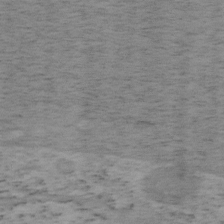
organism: Mouse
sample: OT-I killer T cells with ID8 ovarian cancer cells